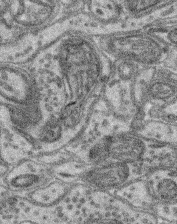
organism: Mouse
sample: Retina